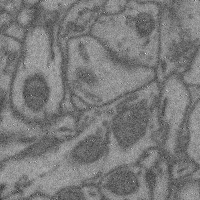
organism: Mouse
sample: Cerebral cortex